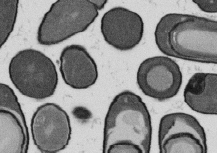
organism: B. subtilis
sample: Bacterial spore